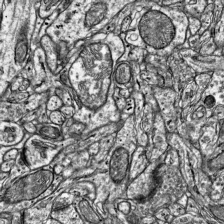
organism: Mouse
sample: Visual Cortex